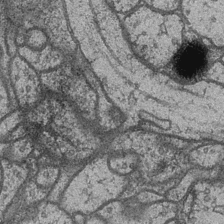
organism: Drosophila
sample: Optic medulla